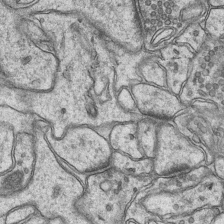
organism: Mouse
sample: CA1 Hippocampus